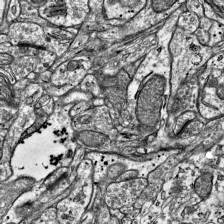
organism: Mouse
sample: Visual Cortex